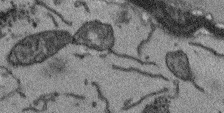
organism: Arabidopsis thaliana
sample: Root tip